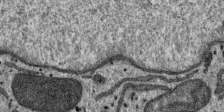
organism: Human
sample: Lung epithelial cells, uninfected (mock) control